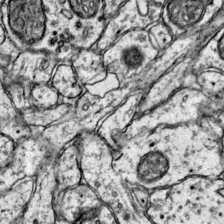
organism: Mouse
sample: Primary visual cortex